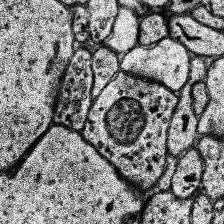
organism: Human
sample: Temporal Lobe